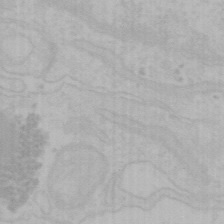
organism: Mouse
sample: Choroid plexus